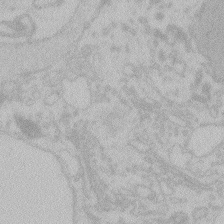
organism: Zebrafish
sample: Macrophage infected with Toxoplasma gondii